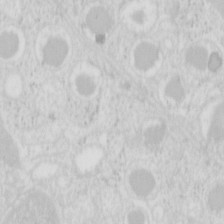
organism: Mouse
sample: Pancreas